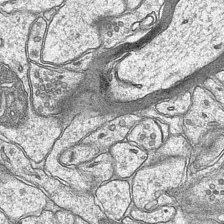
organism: Mouse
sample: CA1 Hippocampus